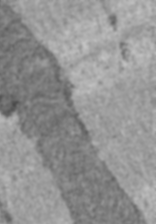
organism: C57BL Mouse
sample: Heart